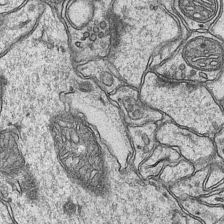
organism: Mouse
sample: CA1 Hippocampus